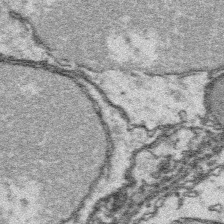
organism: Platynereis dumerilii